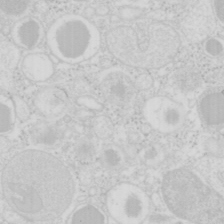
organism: Mouse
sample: Pancreas